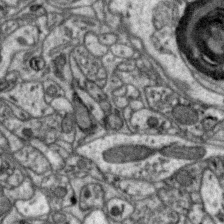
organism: Zebra finch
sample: Brain